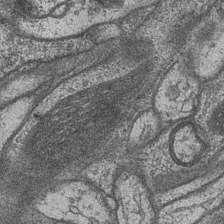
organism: Drosophila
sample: Optic medulla